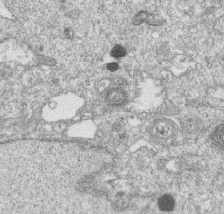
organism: Human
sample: HeLa cell HIV synapse